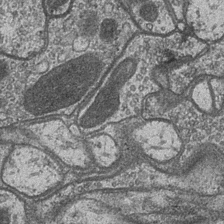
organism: Drosophila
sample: Optic medulla